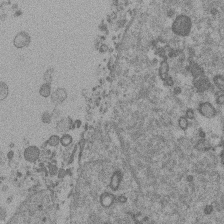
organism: Mouse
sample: Dividing mouse embryo 1 cell stage